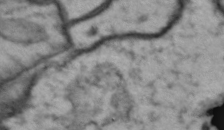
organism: Drosophila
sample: Brain